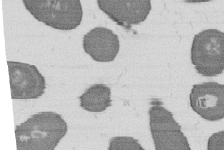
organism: B. subtilis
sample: Bacterial spore